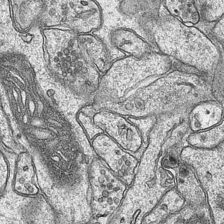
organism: Mouse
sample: CA1 Hippocampus